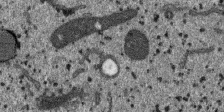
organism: Human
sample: Lung epithelial cells infected with SARS-CoV-2